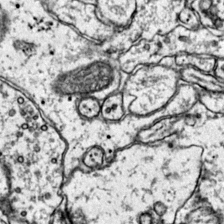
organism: Mouse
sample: Primary visual cortex